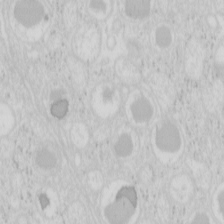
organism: Mouse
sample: Pancreas